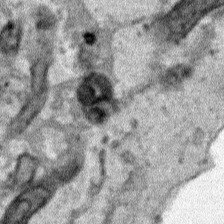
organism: Human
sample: Mitochondria in HCT116 cells